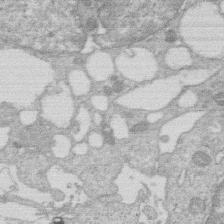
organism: Human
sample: Macrophage cells